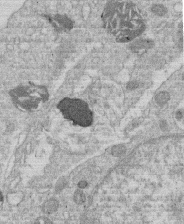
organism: Human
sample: Macrophage cells